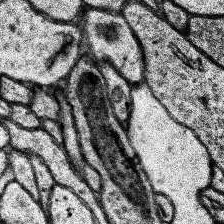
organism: Human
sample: Temporal Lobe